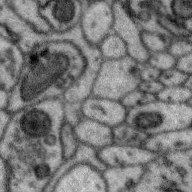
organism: Zebra finch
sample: Brain